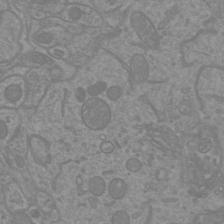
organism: Mouse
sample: Cortical neurons